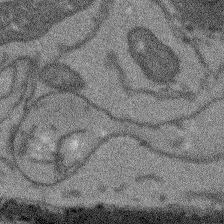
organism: Arabidopsis thaliana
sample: Root tip